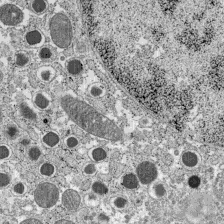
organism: C57BL Mouse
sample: Pancreatic islet